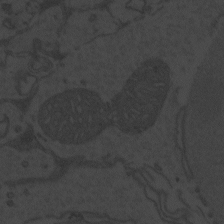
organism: Zebrafish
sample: Macrophage infected with Toxoplasma gondii